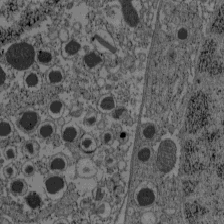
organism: C57BL Mouse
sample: Pancreatic islet